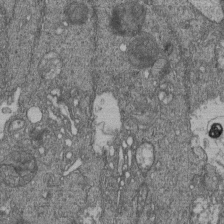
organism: Human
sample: Retinal organoid Rod and Cone cells